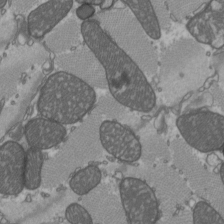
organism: C57BL Mouse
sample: Heart